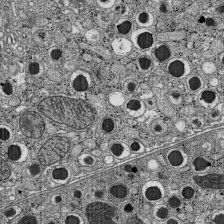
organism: C57BL Mouse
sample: Pancreatic islet